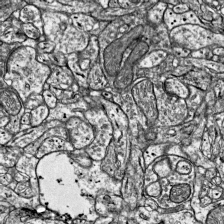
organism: Mouse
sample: Visual Cortex